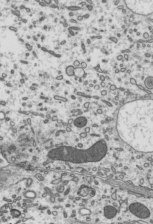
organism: Mouse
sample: Mouse epididymis efferent ductule cilia